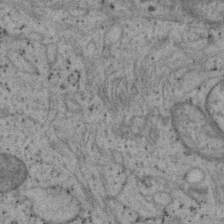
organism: Human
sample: HeLa cells